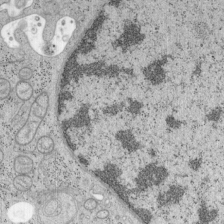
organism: Mouse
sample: OT-I killer T cells with ID8 ovarian cancer cells